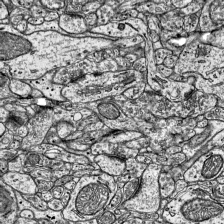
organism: Mouse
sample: Visual Cortex